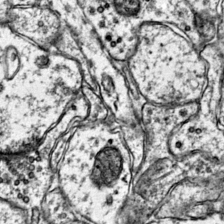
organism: Mouse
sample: Primary visual cortex